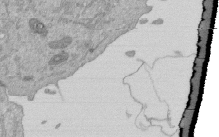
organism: Mouse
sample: ED-1 cell nuclei; centrioles